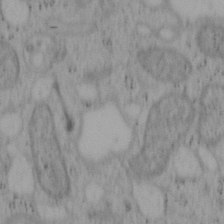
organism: Mouse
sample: OT-I killer T cells with ID8 ovarian cancer cells